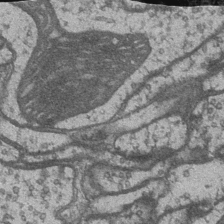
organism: Drosophila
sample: Optic medulla